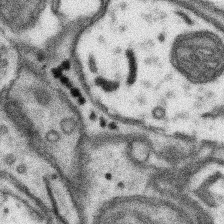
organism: Mouse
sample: Somatosensory cortex neuropil